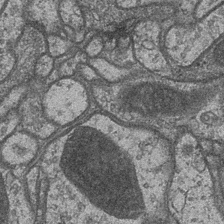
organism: Drosophila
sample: Optic medulla